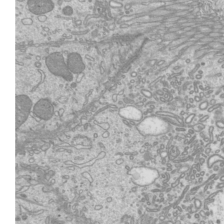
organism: Mouse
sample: Cilia; mouse epididymis